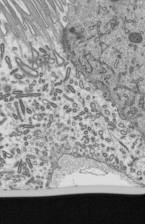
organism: Mouse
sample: Mouse epididymis efferent ductule cilia